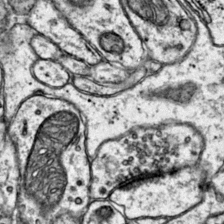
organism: Mouse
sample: Primary visual cortex